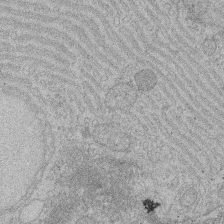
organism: Rat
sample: Salivary granule